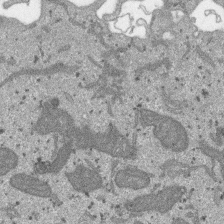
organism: Human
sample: Lung epithelial cells infected with SARS-CoV-2